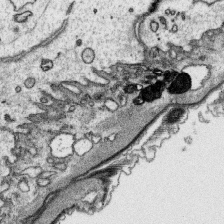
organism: Platynereis dumerilii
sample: Parapodia